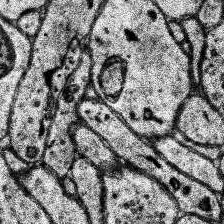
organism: Human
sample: Temporal Lobe